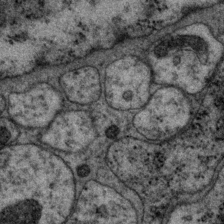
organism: P. pacificus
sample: Pharynx